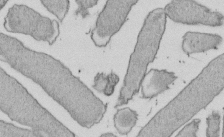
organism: E. coli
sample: Bacterial nucleoid